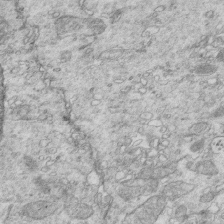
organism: Mouse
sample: Multiciliated cells